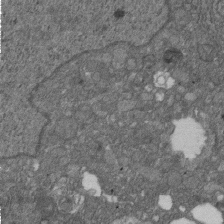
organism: Drosophila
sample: Nephrocyte